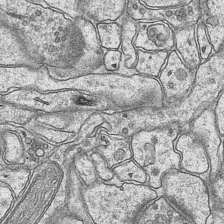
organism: Mouse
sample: CA1 Hippocampus